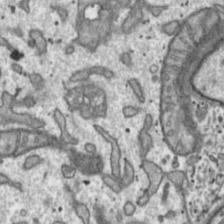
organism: Toxoplasma gondii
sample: Parasites in a vacuole inside a host cell